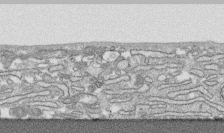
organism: Human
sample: CRL-1474